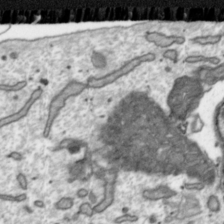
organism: Toxoplasma gondii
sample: Parasites in a vacuole inside a host cell